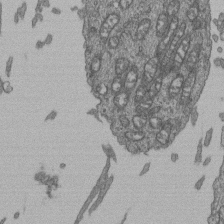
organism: Human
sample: Retinal organoid Rod and Cone cells